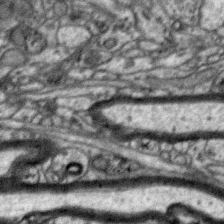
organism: Zebra finch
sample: Brain